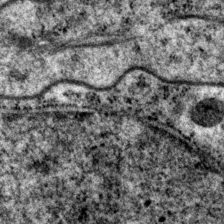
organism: P. pacificus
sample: Pharynx